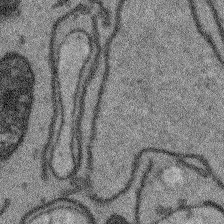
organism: Arabidopsis thaliana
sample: Root tip